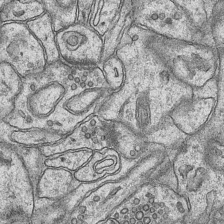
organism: Mouse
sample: CA1 Hippocampus